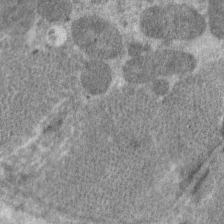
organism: C. elegans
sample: Pharynx